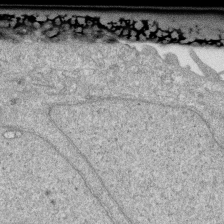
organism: Human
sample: HeLa cell HIV synapse